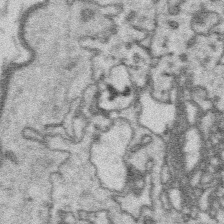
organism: Platynereis dumerilii